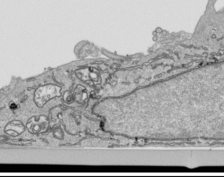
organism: Human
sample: Mitochondria in HCT116 cells